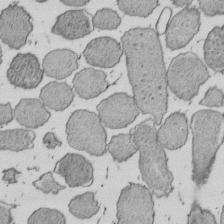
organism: E. coli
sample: Bacterial nucleoid